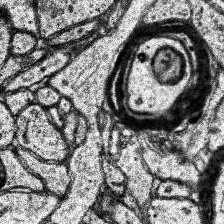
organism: Human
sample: Temporal Lobe